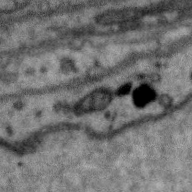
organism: Zebra finch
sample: Brain